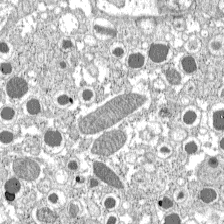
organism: C57BL Mouse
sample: Pancreatic islet